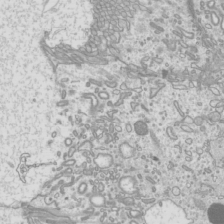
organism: Mouse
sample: Cilia; mouse epididymis